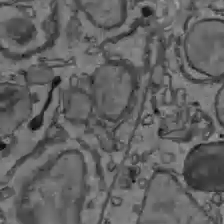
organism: C57BL Mouse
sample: Liver